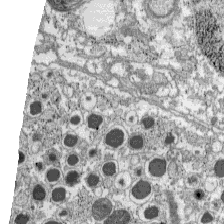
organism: C57BL Mouse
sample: Pancreatic islet